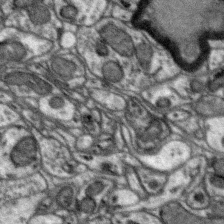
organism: Zebra finch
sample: Brain